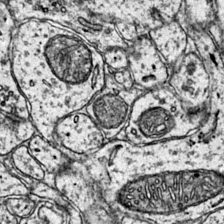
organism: Mouse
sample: Primary visual cortex